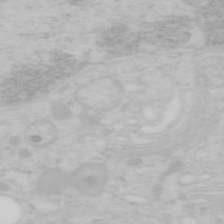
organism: Mouse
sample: OT-I killer T cells with ID8 ovarian cancer cells